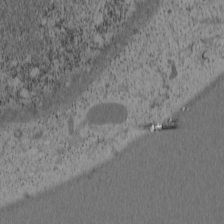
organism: African green monkey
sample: COS-7 cells